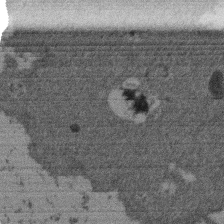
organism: Mouse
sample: Dividing mouse embryo 1 cell stage